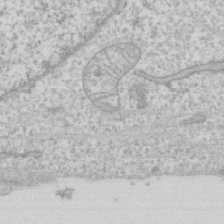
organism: Human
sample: Fibroblast cells